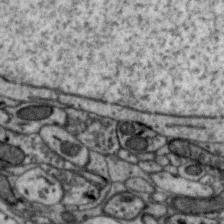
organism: Zebra finch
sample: Brain